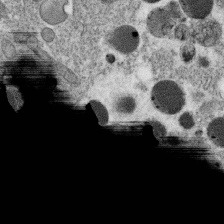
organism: C. elegans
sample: C. elegans oocyte; sperm cells